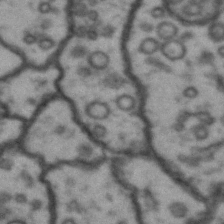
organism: Drosophila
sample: Brain